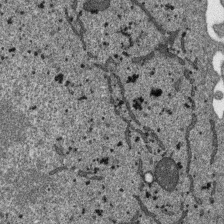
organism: Human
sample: Lung epithelial cells infected with SARS-CoV-2